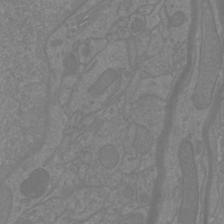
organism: Mouse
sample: Cortical neurons